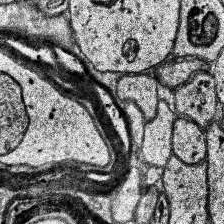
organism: Human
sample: Temporal Lobe